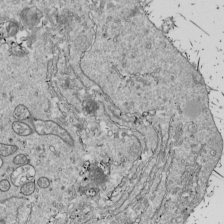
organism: Drosophila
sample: Cell division; meiosis; drosophila spermatocytes